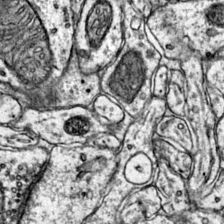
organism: Mouse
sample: Primary visual cortex